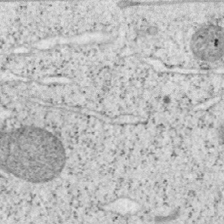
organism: Mouse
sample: OT-I killer T cells with ID8 ovarian cancer cells